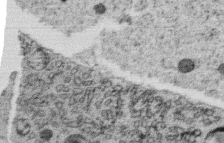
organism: C. elegans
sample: C. elegans oocyte; sperm cells